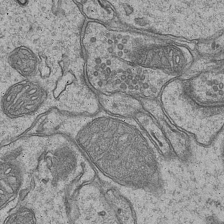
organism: Mouse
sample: CA1 Hippocampus